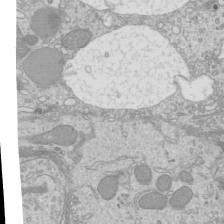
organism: Mouse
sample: Cilia; mouse epididymis